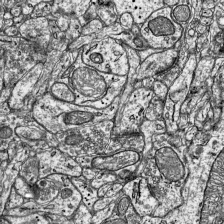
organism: Mouse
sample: Visual Cortex